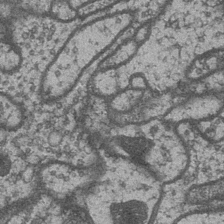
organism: Drosophila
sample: Optic medulla